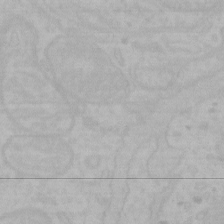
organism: Mouse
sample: Choroid plexus